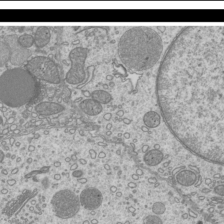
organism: Mouse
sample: Cilia; mouse epididymis